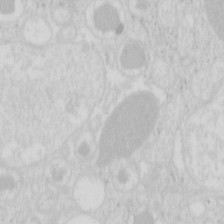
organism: Mouse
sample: Pancreas